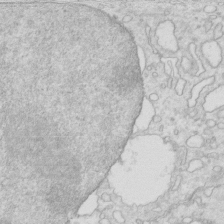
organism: Mouse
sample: Multiciliated cells